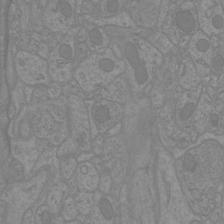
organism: Mouse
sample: Cortical neurons